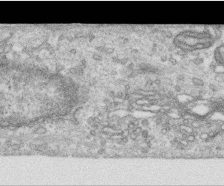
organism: Human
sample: Centriole in RPE cells